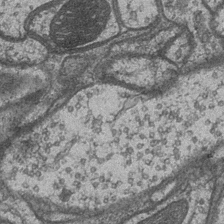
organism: Drosophila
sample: Optic medulla